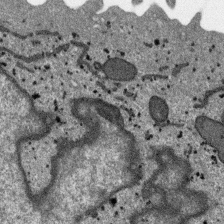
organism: Human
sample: Lung epithelial cells, uninfected (mock) control